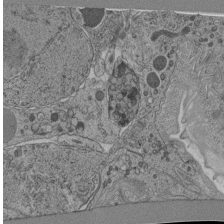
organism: C. elegans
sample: C. elegans pharynx